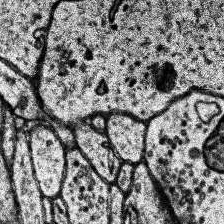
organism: Human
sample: Temporal Lobe